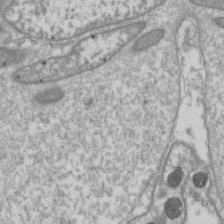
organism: Drosophila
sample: Cell division; meiosis; drosophila spermatocytes